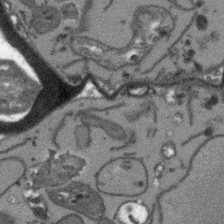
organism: Arabidopsis thaliana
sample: Root tip